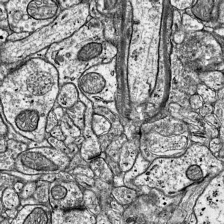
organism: Mouse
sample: Visual Cortex